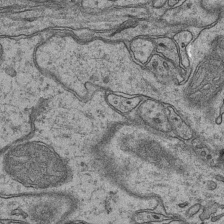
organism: Mouse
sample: CA1 Hippocampus